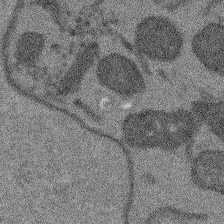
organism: Arabidopsis thaliana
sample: Root tip